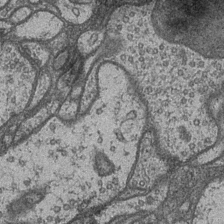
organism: Drosophila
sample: Optic medulla